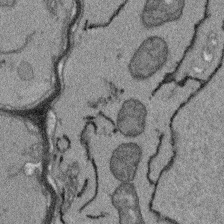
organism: Arabidopsis thaliana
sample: Root tip